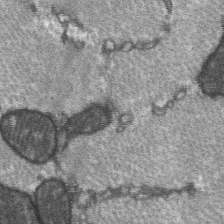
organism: C57BL Mouse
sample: Soleus